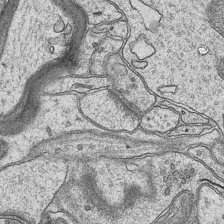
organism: Mouse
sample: CA1 Hippocampus